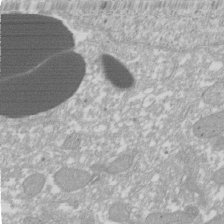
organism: Xenopus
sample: Cilia; centrioles in frog embryo cells